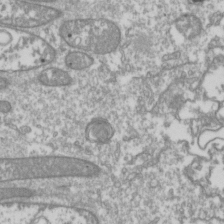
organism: Drosophila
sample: Cell division; meiosis; drosophila spermatocytes